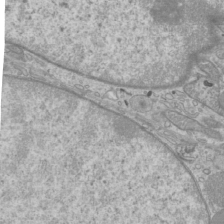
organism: Mouse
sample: Cilia; mouse epididymis